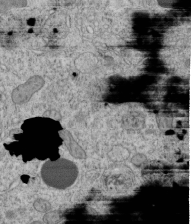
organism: C. elegans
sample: C. elegans embryo early stage